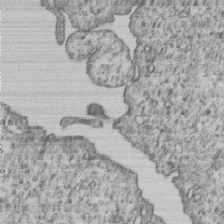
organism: Human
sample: MDA-MB-231 cells